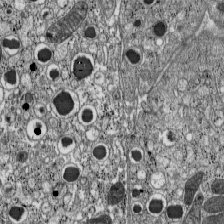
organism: C57BL Mouse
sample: Pancreatic islet